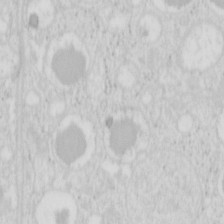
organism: Mouse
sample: Pancreas